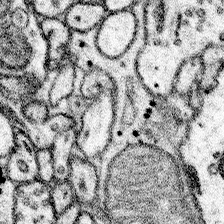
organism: Mouse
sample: Somatosensory cortex neuropil